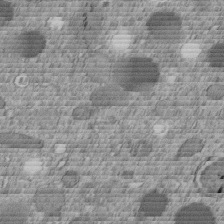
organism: C. elegans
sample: C. elegans embryo early stage